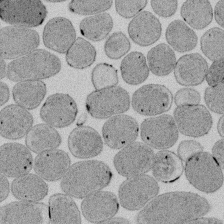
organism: E. coli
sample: Bacterial nucleoid